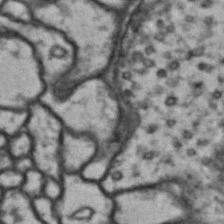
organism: Drosophila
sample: Brain